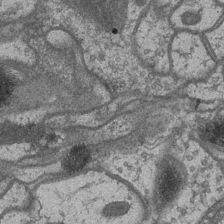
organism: Drosophila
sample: Optic medulla